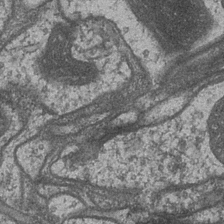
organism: Drosophila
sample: Optic medulla